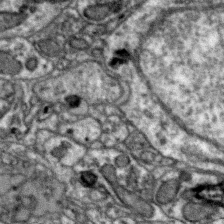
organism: Zebra finch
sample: Brain